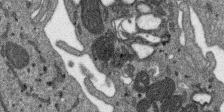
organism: Human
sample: Lung epithelial cells infected with SARS-CoV-2